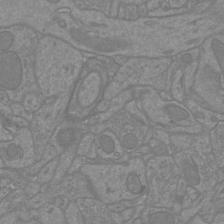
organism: Mouse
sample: Cortical neurons